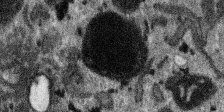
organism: Human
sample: Lung epithelial cells infected with SARS-CoV-2